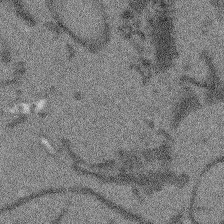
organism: Arabidopsis thaliana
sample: Root tip